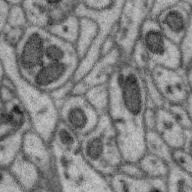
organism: Zebra finch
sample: Brain